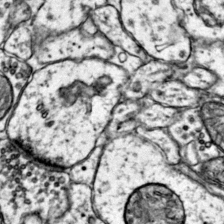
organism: Mouse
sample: Primary visual cortex